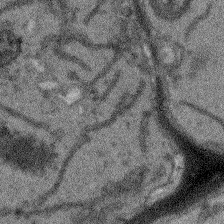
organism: Arabidopsis thaliana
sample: Root tip